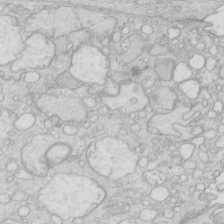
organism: Mouse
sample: Multiciliated cells